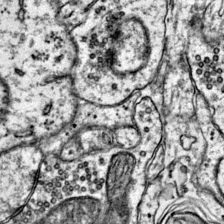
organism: Mouse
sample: Primary visual cortex